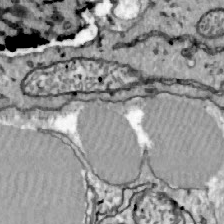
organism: Zebrafish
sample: Actinotrichia fibers